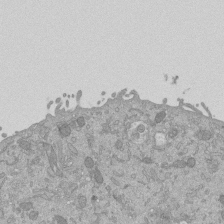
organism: Mouse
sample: ED-1 cell nuclei; centrioles